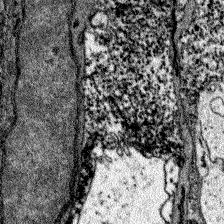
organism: Zebrafish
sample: Larval olfactory bulb